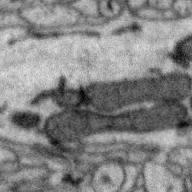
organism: Zebra finch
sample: Brain